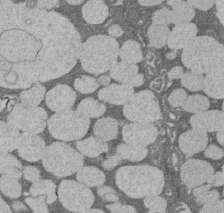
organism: Rat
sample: Salivary granule